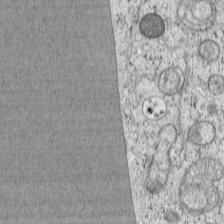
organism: African green monkey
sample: COS-7 cells